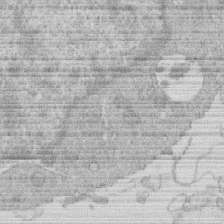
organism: Human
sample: Macrophage cells